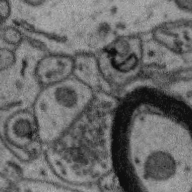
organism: Zebra finch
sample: Brain